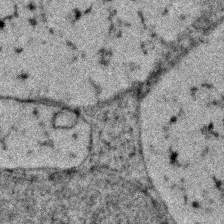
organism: Zebrafish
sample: Zebrafish embryo